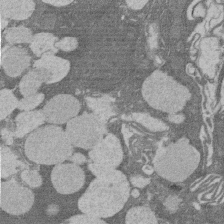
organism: Rat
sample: Salivary granule